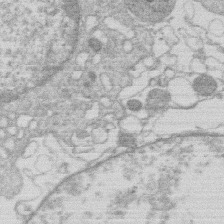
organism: Human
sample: Macrophage cells